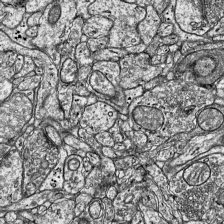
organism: Mouse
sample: Visual Cortex